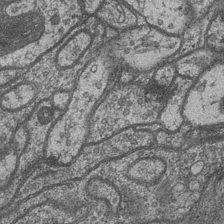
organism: Drosophila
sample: Optic medulla